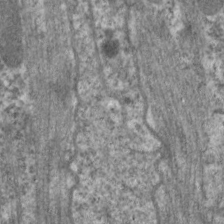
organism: C. elegans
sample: Pharynx